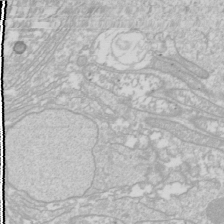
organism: Drosophila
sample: Cell division; meiosis; drosophila spermatocytes